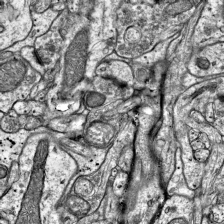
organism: Mouse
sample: Visual Cortex